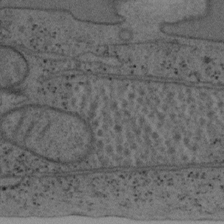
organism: Human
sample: HeLa cells